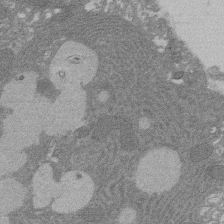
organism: Rat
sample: Salivary granule